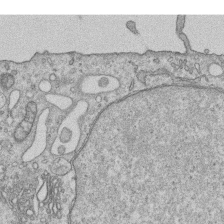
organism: Human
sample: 1205lu cells